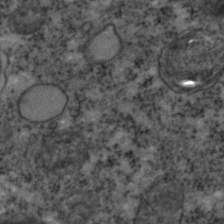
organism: C. elegans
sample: C. elegans embryo